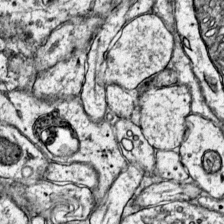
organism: Mouse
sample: Primary visual cortex